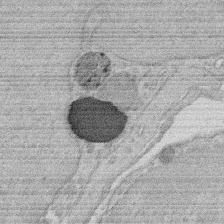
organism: Rat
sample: Salivary granule